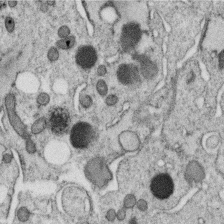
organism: C. elegans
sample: C. elegans oocyte; sperm cells